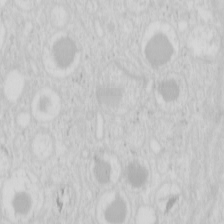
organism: Mouse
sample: Pancreas